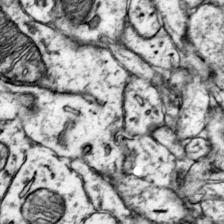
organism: Mouse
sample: Primary visual cortex